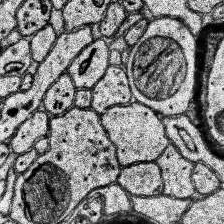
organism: Human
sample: Temporal Lobe